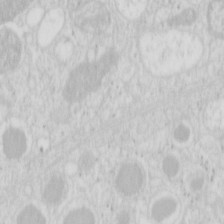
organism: Mouse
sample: Pancreas